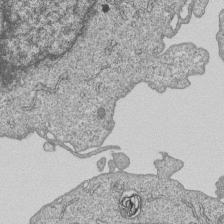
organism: Human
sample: MDA-MB-231 cells